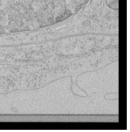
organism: Human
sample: Mitochondria in HCT116 cells